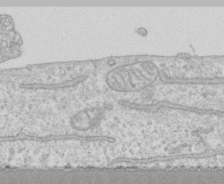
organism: Human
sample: CRL-1474